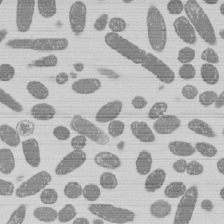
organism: E. coli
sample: Bacterial nucleoid